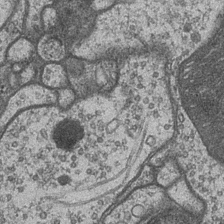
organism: Drosophila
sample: Optic medulla